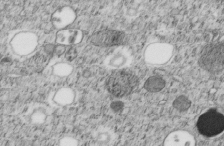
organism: C. elegans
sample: C. elegans embryo early stage